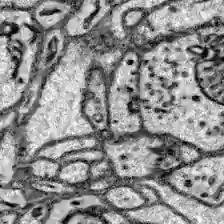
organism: Zebrafish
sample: Brain